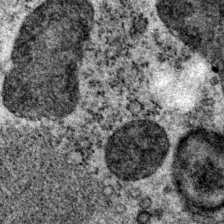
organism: P. pacificus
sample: Pharynx